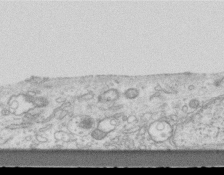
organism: Mouse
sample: Centriole in ependymal cells